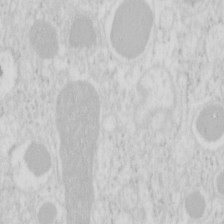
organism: Mouse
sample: Pancreas